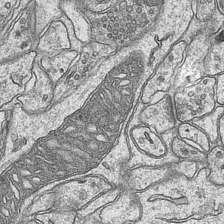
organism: Mouse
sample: CA1 Hippocampus